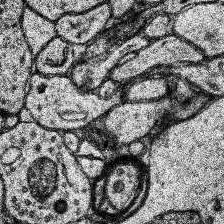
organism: Human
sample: Temporal Lobe